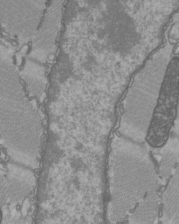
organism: C57BL Mouse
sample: Heart